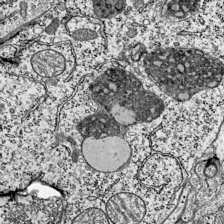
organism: Mouse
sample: Visual Cortex